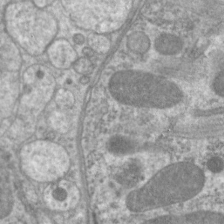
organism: C. elegans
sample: Pharynx